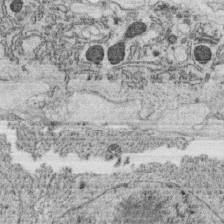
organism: C. elegans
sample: C. elegans oocyte; sperm cells